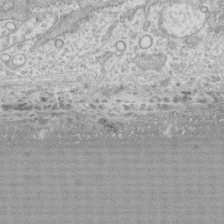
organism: Human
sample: CRL-1474